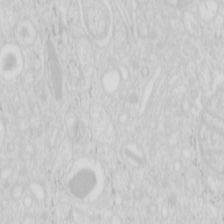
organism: Mouse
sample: Pancreas